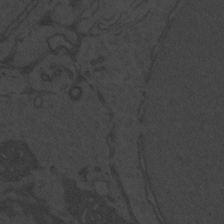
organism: Zebrafish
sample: Macrophage infected with Toxoplasma gondii